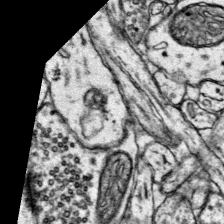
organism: Mouse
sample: Primary visual cortex